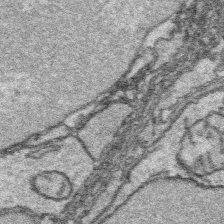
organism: Platynereis dumerilii